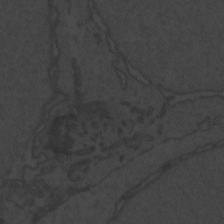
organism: Zebrafish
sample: Macrophage infected with Toxoplasma gondii